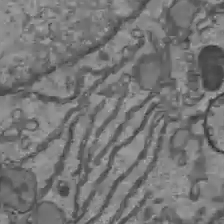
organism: C57BL Mouse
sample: Liver